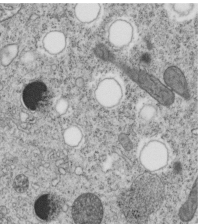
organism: C. elegans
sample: C. elegans embryo early stage